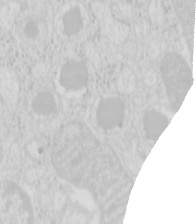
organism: Mouse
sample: Pancreas